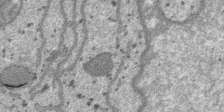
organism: Human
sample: Lung epithelial cells infected with SARS-CoV-2